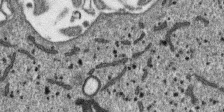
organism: Human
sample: Lung epithelial cells infected with SARS-CoV-2